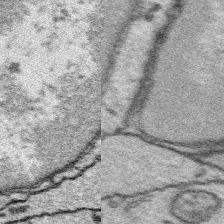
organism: Platynereis dumerilii